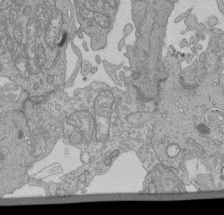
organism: Human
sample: Retinal organoid Rod and Cone cells